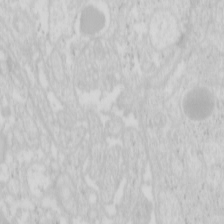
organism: Mouse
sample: Pancreas